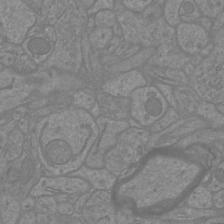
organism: Mouse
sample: Cortical neurons